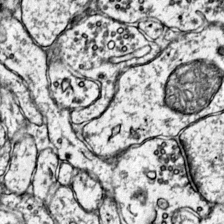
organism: Mouse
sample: Primary visual cortex